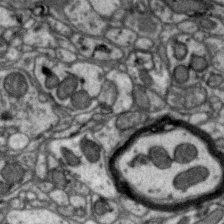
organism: Zebra finch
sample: Brain